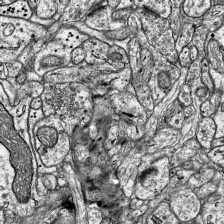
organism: Mouse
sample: Visual Cortex